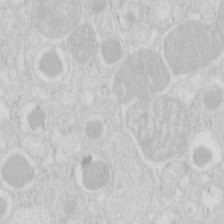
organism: Mouse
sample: Pancreas